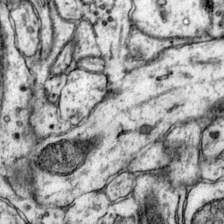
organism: Mouse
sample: Primary visual cortex